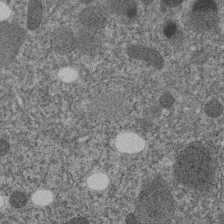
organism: C. elegans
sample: C. elegans embryo early stage